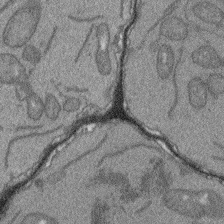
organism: Arabidopsis thaliana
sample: Root tip